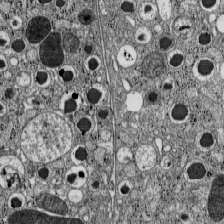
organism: C57BL Mouse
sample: Pancreatic islet